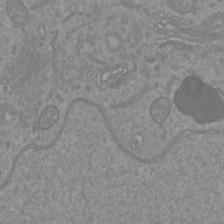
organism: Mouse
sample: Cortical neurons